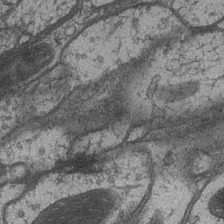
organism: Drosophila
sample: Optic medulla